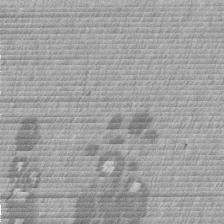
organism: Mouse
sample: Dividing mouse embryo 1 cell stage